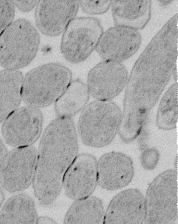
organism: E. coli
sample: Bacterial nucleoid